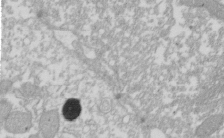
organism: Xenopus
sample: Cilia; centrioles in frog embryo cells